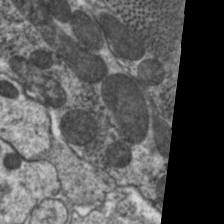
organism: C. elegans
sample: Pharynx